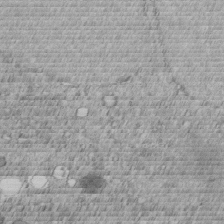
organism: C. elegans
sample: C. elegans embryo early stage